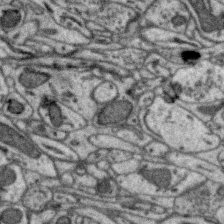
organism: Zebra finch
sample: Brain